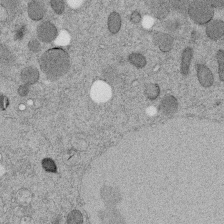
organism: C. elegans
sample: C. elegans embryo early stage